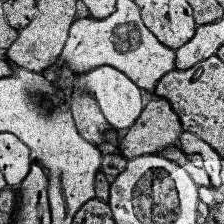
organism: Human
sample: Temporal Lobe